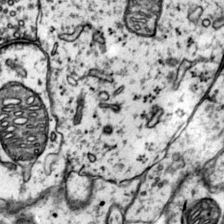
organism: Mouse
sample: Primary visual cortex